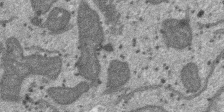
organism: Human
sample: Lung epithelial cells infected with SARS-CoV-2